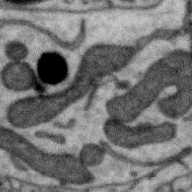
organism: Zebra finch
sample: Brain